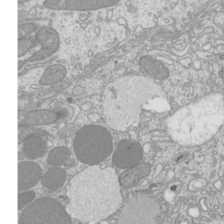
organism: Mouse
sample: Cilia; mouse epididymis